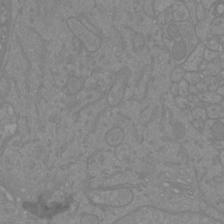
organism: Mouse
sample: Cortical neurons